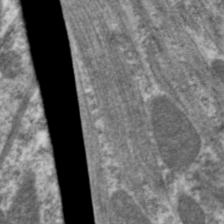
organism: C. elegans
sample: Pharynx